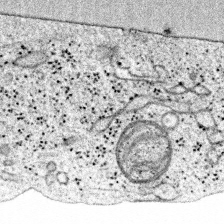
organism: Human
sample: HeLa cells